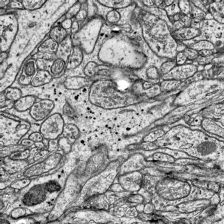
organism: Mouse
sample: Visual Cortex